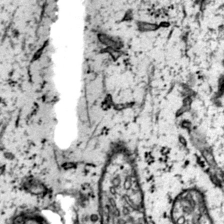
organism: Mouse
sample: Primary visual cortex